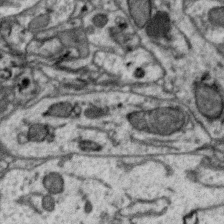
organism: Zebra finch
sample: Brain